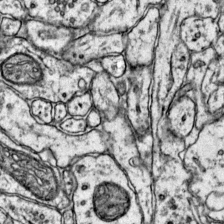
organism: Mouse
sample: Primary visual cortex